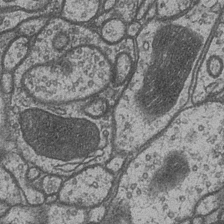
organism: Drosophila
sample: Optic medulla